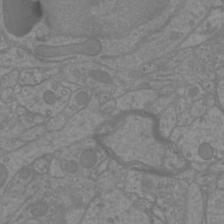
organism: Mouse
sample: Cortical neurons